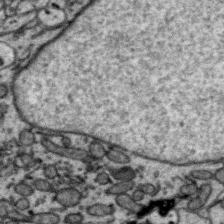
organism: Zebra finch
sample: Brain